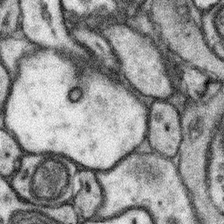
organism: Mouse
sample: Somatosensory cortex neuropil